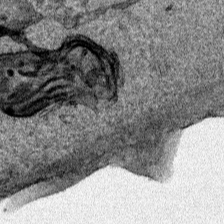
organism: Human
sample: Mitochondria in HCT116 cells